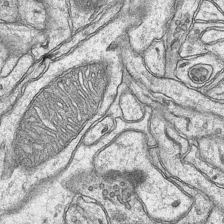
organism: Mouse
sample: CA1 Hippocampus